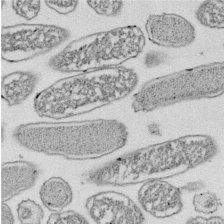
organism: E. coli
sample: Bacterial nucleoid